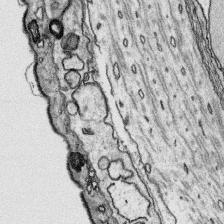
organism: Platynereis dumerilii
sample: Parapodia